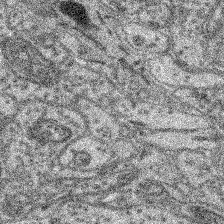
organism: Mouse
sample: Retina